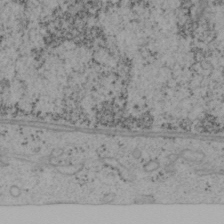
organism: Human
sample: HeLa cells